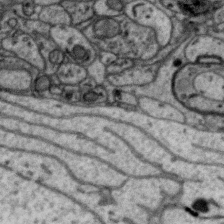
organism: Zebra finch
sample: Brain